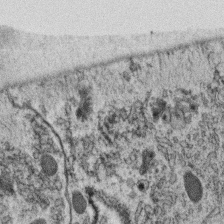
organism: C. elegans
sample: C. elegans oocyte; sperm cells